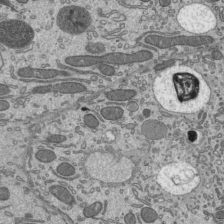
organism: Mouse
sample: Mouse epididymis efferent ductule cilia